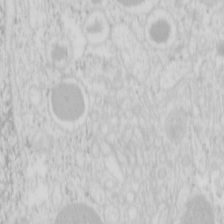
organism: Mouse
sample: Pancreas